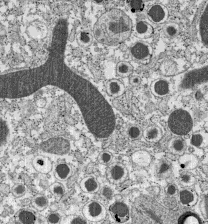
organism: C57BL Mouse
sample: Pancreatic islet